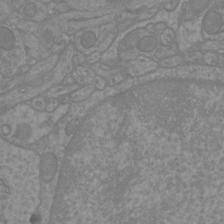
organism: Mouse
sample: Cortical neurons